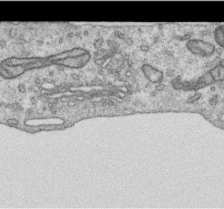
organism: Human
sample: Centriole in RPE cells